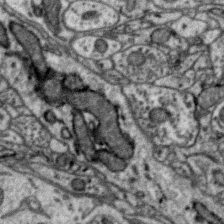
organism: Zebra finch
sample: Brain